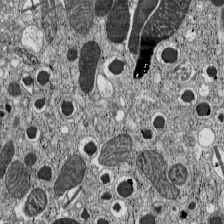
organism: C57BL Mouse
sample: Pancreatic islet